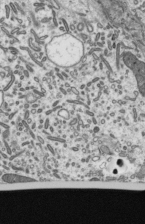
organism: Mouse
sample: Mouse epididymis efferent ductule cilia